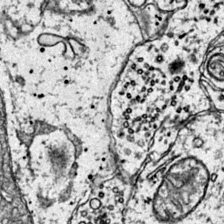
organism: Mouse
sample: Primary visual cortex